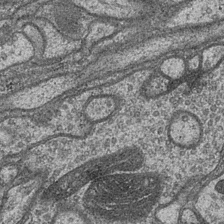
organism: Drosophila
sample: Optic medulla